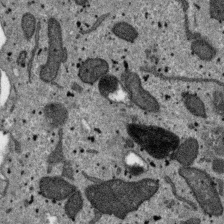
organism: Human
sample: Lung epithelial cells, uninfected (mock) control